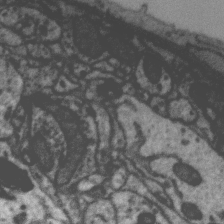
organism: Zebra finch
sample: Brain